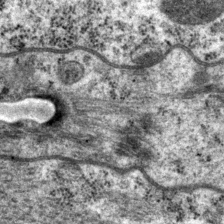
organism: P. pacificus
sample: Pharynx